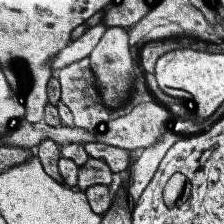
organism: Human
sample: Temporal Lobe